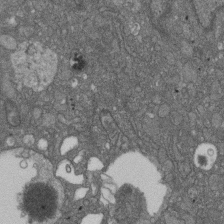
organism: Drosophila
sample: Nephrocyte